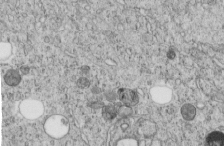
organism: C. elegans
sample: C. elegans embryo early stage